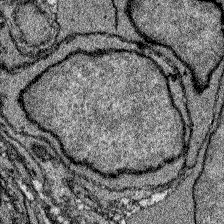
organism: Zebrafish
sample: Larval olfactory bulb